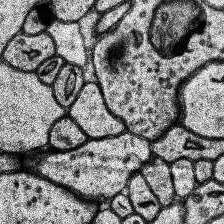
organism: Human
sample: Temporal Lobe